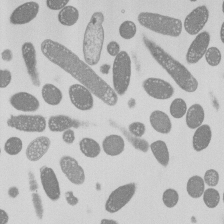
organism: E. coli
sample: Bacterial nucleoid